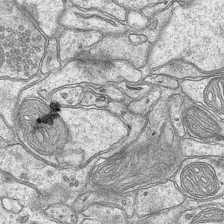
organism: Mouse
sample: CA1 Hippocampus